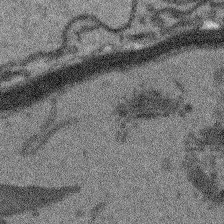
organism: Arabidopsis thaliana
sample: Root tip